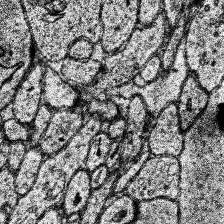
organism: Human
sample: Temporal Lobe